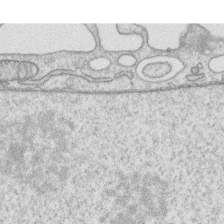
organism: Human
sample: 1205lu cells